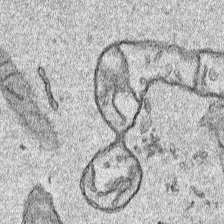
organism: Human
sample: Mitochondria in HCT116 cells